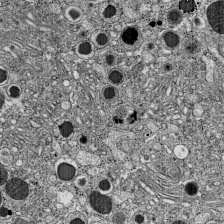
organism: C57BL Mouse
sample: Pancreatic islet